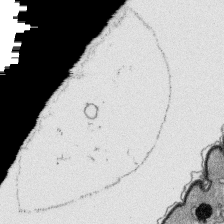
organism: Platynereis dumerilii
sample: Parapodia